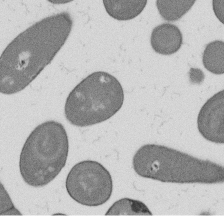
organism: B. subtilis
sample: Bacterial spore